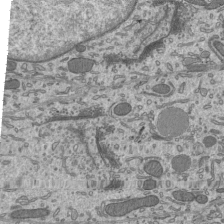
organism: Mouse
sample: Mouse epididymis efferent ductule cilia